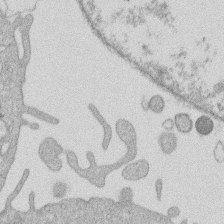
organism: Human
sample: Macrophage cells